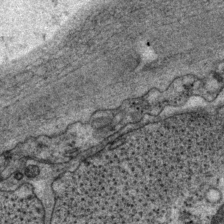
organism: P. pacificus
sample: Pharynx